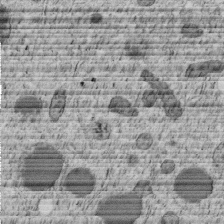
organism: C. elegans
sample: C. elegans embryo early stage